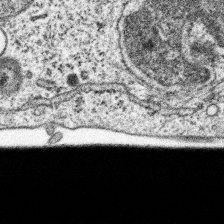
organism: Human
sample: HeLa cells